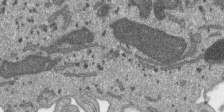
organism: Human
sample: Lung epithelial cells infected with SARS-CoV-2